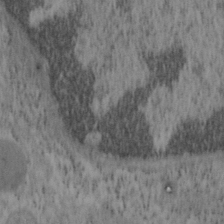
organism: Mouse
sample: OT-I killer T cells with ID8 ovarian cancer cells